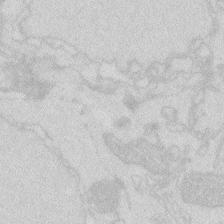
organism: Zebrafish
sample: Macrophage